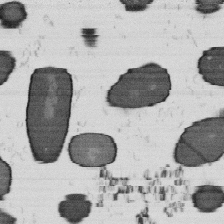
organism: B. subtilis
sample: Bacterial spore